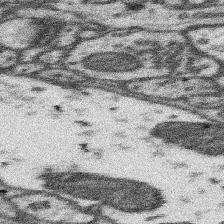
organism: Mouse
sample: Somatosensory cortex neuropil